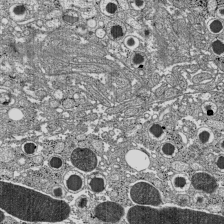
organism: C57BL Mouse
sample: Pancreatic islet